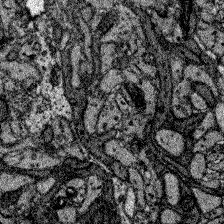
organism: Zebrafish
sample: Larval olfactory bulb